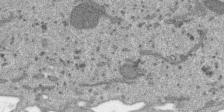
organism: Human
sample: Lung epithelial cells infected with SARS-CoV-2